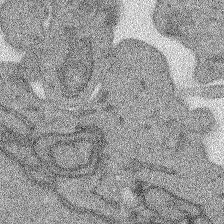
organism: Human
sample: HeLa cells